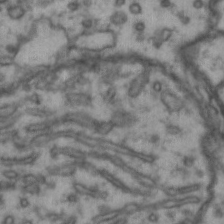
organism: Drosophila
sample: Brain